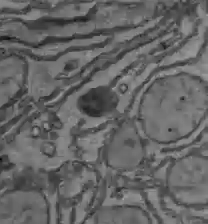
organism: C57BL Mouse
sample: Liver